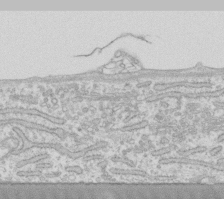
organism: Human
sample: Fibroblast cells